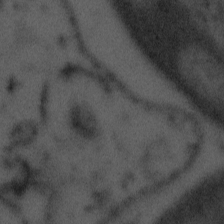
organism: Tuwongella immobilis